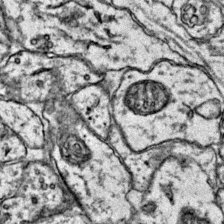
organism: Mouse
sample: Primary visual cortex